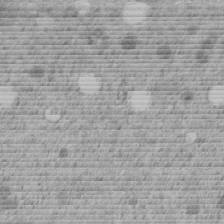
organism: C. elegans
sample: C. elegans embryo early stage